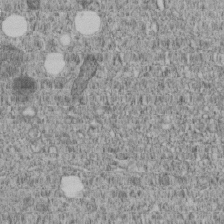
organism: C. elegans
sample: C. elegans embryo early stage